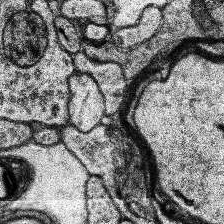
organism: Human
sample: Temporal Lobe